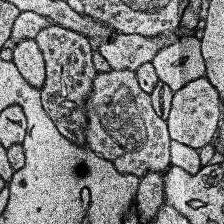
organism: Human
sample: Temporal Lobe